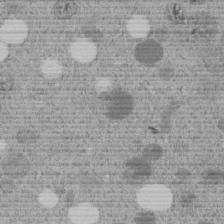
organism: C. elegans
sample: C. elegans embryo early stage